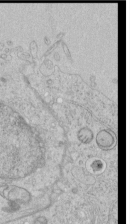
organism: Human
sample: Mitochondria in HCT116 cells